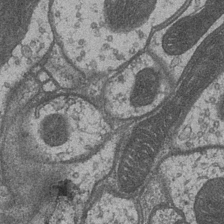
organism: Drosophila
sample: Optic medulla